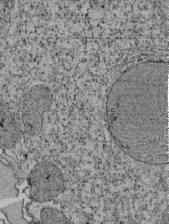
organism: Tetrahymena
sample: Cilia in tetrahymena